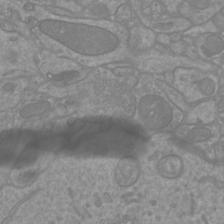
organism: Mouse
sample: Cortical neurons